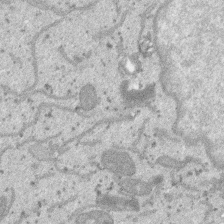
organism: Human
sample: Lung epithelial cells infected with SARS-CoV-2